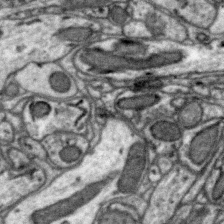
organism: Zebra finch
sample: Brain